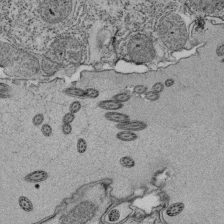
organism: Tetrahymena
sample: Cilia in tetrahymena